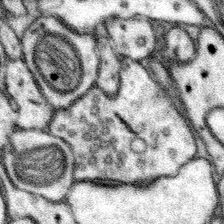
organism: Mouse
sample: Somatosensory cortex neuropil